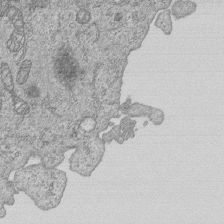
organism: Human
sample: MDA-MB-231 cells